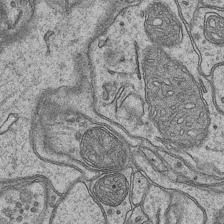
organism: Mouse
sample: CA1 Hippocampus